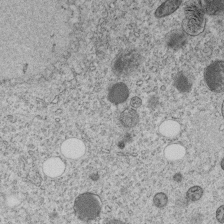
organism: C. elegans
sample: C. elegans embryo early stage